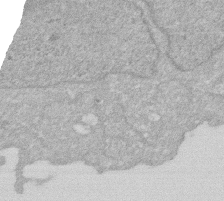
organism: Human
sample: HIV infected U937 cells